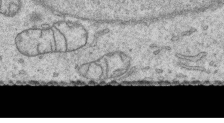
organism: Human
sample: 1205lu cells